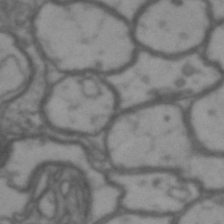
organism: Drosophila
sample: Brain